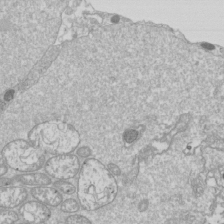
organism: Drosophila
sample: Cell division; meiosis; drosophila spermatocytes